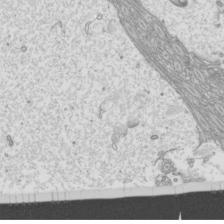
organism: Mouse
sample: Cilia; mouse epididymis